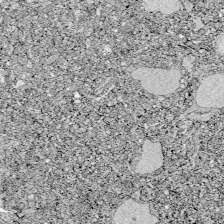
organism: Zebrafish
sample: Whole-Brain